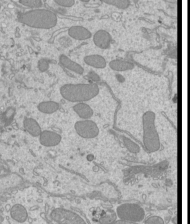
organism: Mouse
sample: Cilia; mouse epididymis